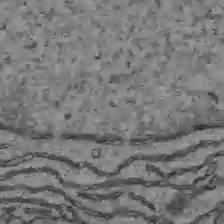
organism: C57BL Mouse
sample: Liver